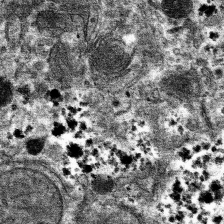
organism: Mouse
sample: Mouse hepatocytes